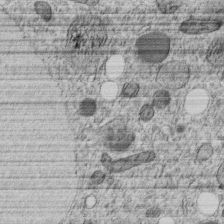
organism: C. elegans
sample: C. elegans embryo early stage